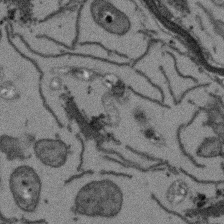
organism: Arabidopsis thaliana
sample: Root tip